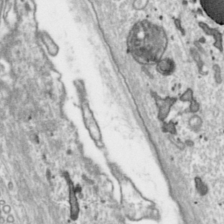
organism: Toxoplasma gondii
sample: Parasites in a vacuole inside a host cell